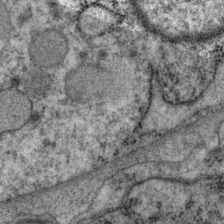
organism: P. pacificus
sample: Pharynx